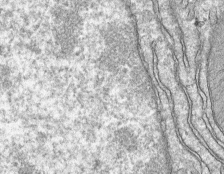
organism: Mouse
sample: Mouse hepatocytes